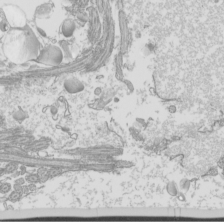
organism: Mouse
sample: Cilia; mouse epididymis